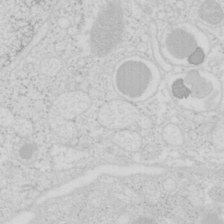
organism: Mouse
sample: Pancreas